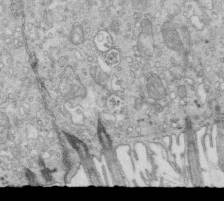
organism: Mouse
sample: Multiciliated cells